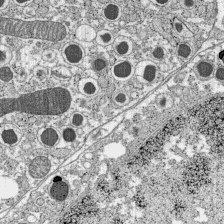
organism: C57BL Mouse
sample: Pancreatic islet